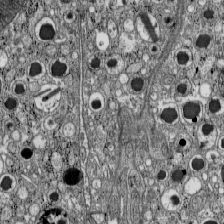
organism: C57BL Mouse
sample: Pancreatic islet